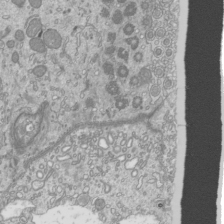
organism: Mouse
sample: Cilia; mouse epididymis